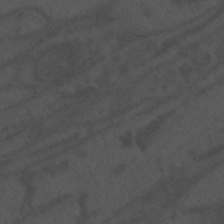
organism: Mouse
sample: Suprachiasmatic nucleus